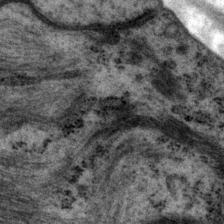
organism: P. pacificus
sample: Pharynx